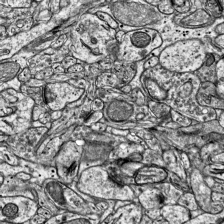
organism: Mouse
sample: Visual Cortex